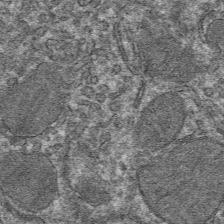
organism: Mouse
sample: Mouse hepatocytes